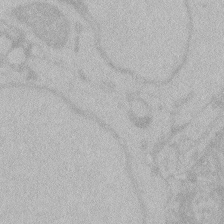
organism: Zebrafish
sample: Macrophage infected with Toxoplasma gondii